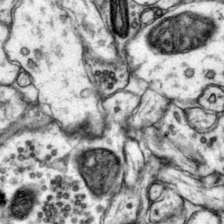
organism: Mouse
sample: Primary visual cortex